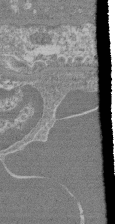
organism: Mouse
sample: Glomerulus